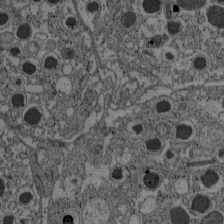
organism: C57BL Mouse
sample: Pancreatic islet